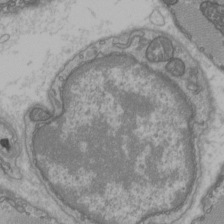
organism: C57BL Mouse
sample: Heart